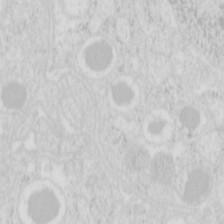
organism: Mouse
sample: Pancreas